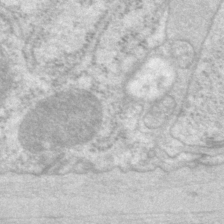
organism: P. pacificus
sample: Pharynx